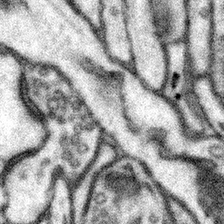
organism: Mouse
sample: Somatosensory cortex neuropil